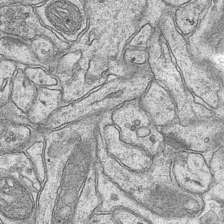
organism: Mouse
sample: CA1 Hippocampus